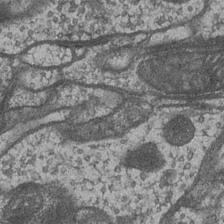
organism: Drosophila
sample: Optic medulla